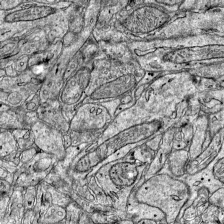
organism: Mouse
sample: Visual Cortex